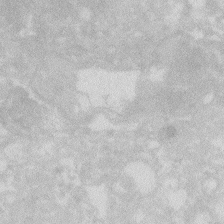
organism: Zebrafish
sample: Macrophage